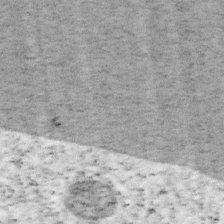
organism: Mouse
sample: OT-I killer T cells with ID8 ovarian cancer cells